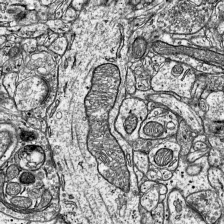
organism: Mouse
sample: Visual Cortex